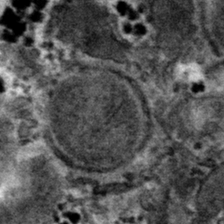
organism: Mouse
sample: Mouse hepatocytes